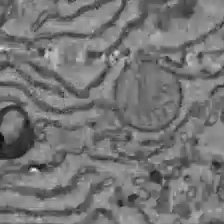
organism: C57BL Mouse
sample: Liver